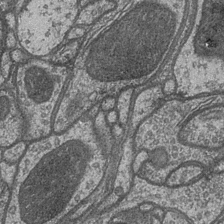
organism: Drosophila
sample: Optic medulla